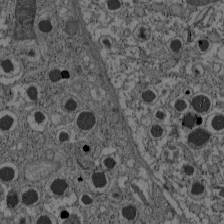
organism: C57BL Mouse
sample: Pancreatic islet